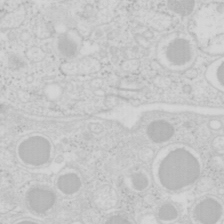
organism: Mouse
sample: Pancreas